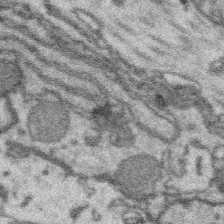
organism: Platynereis dumerilii